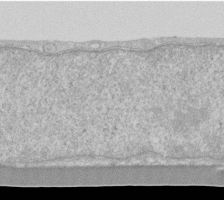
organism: Human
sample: Fibroblast cells